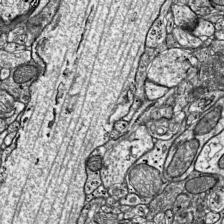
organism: Mouse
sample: Visual Cortex